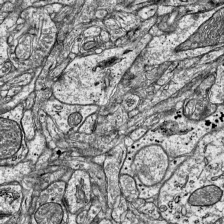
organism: Mouse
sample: Visual Cortex